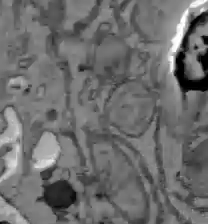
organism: C57BL Mouse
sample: Liver